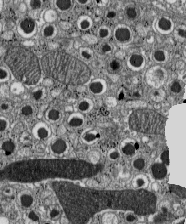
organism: C57BL Mouse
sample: Pancreatic islet